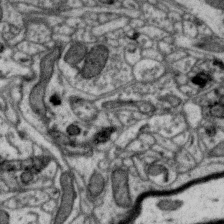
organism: Zebra finch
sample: Brain